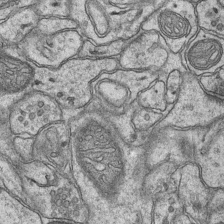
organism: Mouse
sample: CA1 Hippocampus